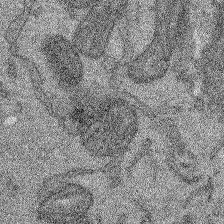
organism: Human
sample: HeLa cells